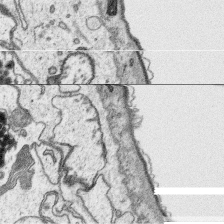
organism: Platynereis dumerilii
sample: Parapodia